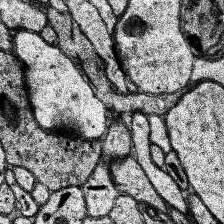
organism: Human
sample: Temporal Lobe